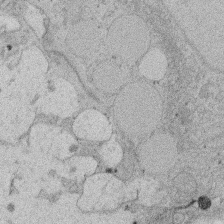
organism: Rat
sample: Salivary granule